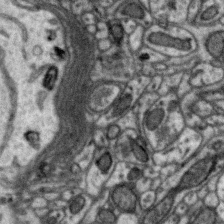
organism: Zebra finch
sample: Brain